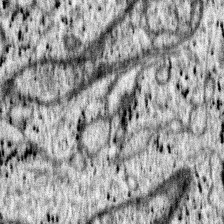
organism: Human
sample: HeLa cells